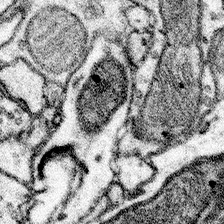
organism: Mouse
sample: Somatosensory cortex neuropil